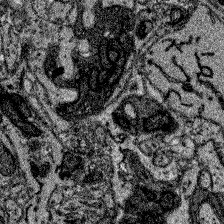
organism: Zebrafish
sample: Larval olfactory bulb